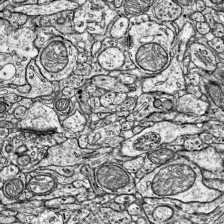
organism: Mouse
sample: Visual Cortex